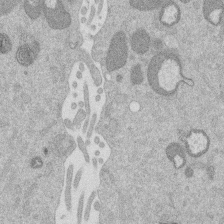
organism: Mouse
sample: Dividing mouse embryo 1 cell stage